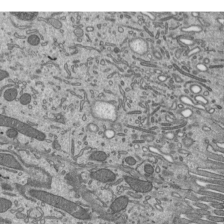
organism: Mouse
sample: Mouse epididymis efferent ductule cilia